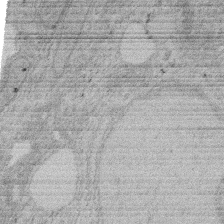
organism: Rat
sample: Salivary granule